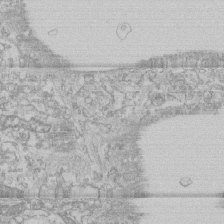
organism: Human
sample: CRL-1474